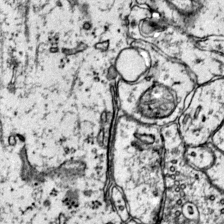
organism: Mouse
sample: Primary visual cortex